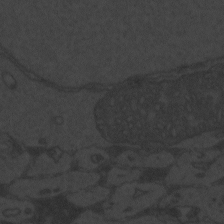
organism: Zebrafish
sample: Macrophage infected with Toxoplasma gondii